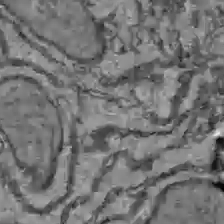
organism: C57BL Mouse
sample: Liver